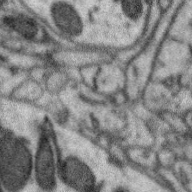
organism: Zebra finch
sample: Brain